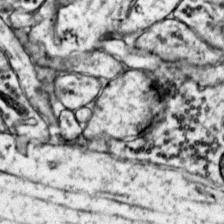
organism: Mouse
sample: Primary visual cortex